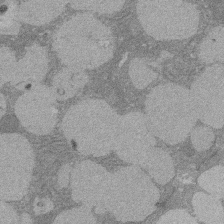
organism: Rat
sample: Salivary granule